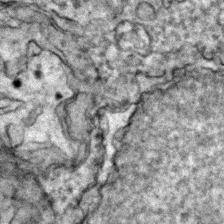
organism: Zebrafish